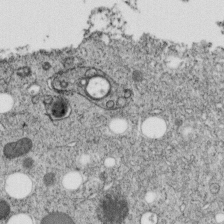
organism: C. elegans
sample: C. elegans embryo early stage